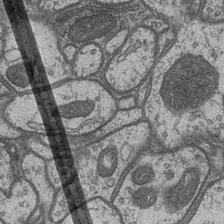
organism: Drosophila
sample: Optic medulla